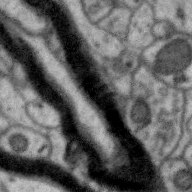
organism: Zebra finch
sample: Brain